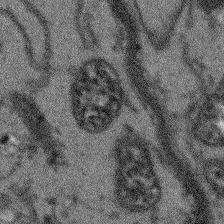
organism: Arabidopsis thaliana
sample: Root tip